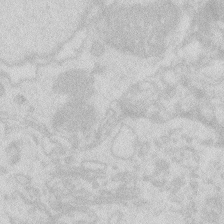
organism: Zebrafish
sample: Macrophage